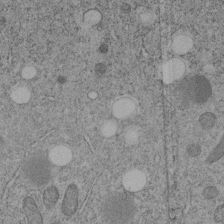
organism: C. elegans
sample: C. elegans embryo early stage